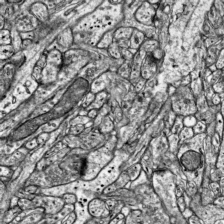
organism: Mouse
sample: Visual Cortex